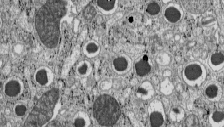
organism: C57BL Mouse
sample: Pancreatic islet